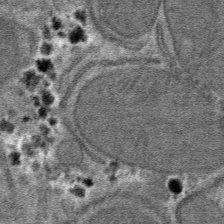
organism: Mouse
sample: Mouse hepatocytes